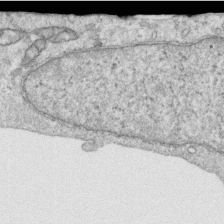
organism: Human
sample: Centriole in RPE cells